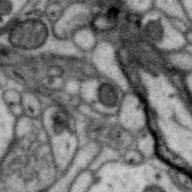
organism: Zebra finch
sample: Brain